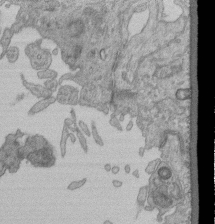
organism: Human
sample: Retinal organoid Rod and Cone cells